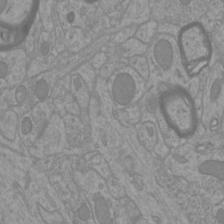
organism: Mouse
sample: Cortical neurons